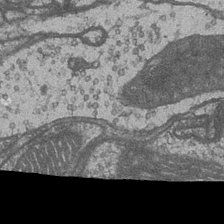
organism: Drosophila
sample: Optic medulla